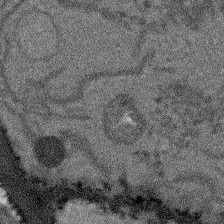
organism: Arabidopsis thaliana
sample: Root tip